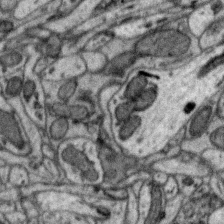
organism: Zebra finch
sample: Brain